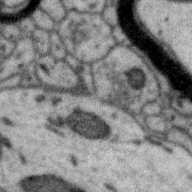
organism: Zebra finch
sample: Brain